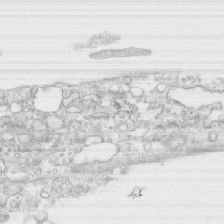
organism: Human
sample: CRL-1474